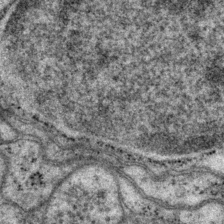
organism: P. pacificus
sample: Pharynx